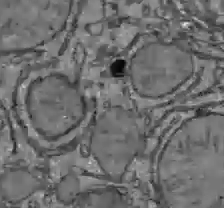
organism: C57BL Mouse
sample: Liver